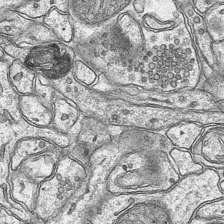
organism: Mouse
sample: CA1 Hippocampus